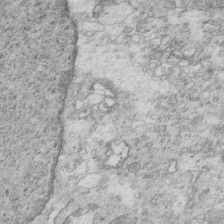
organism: Mouse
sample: Multiciliated cells